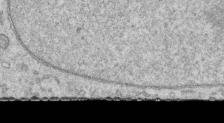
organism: Human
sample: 1205lu cells